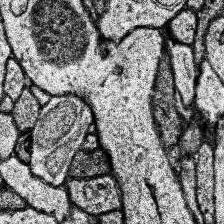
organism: Human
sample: Temporal Lobe